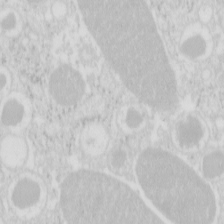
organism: Mouse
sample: Pancreas